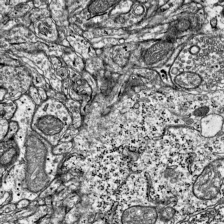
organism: Mouse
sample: Visual Cortex